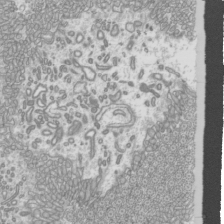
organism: Mouse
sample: Cilia; mouse epididymis